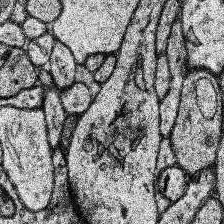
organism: Human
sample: Temporal Lobe